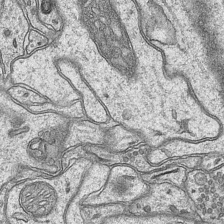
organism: Mouse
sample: CA1 Hippocampus